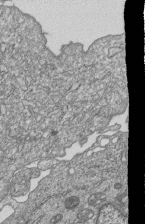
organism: Human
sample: MDA-MB-231 cells